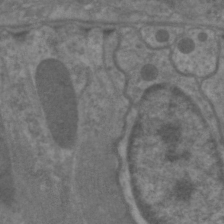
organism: C. elegans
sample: Pharynx